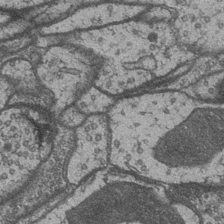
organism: Drosophila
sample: Optic medulla